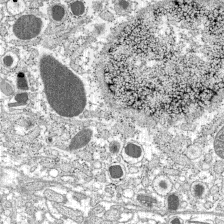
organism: C57BL Mouse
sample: Pancreatic islet